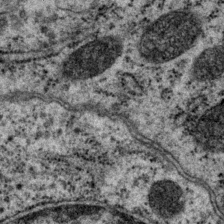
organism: P. pacificus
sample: Pharynx